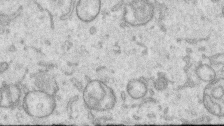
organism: Human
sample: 1205lu cells